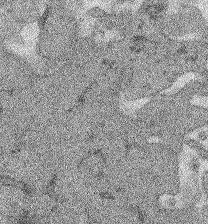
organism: Human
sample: HeLa cells